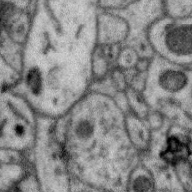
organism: Zebra finch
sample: Brain